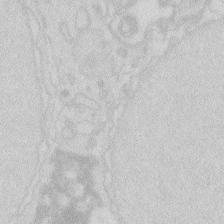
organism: Zebrafish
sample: Macrophage